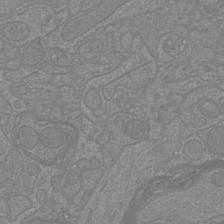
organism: Mouse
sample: Cortical neurons